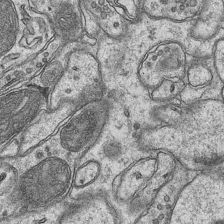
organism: Mouse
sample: CA1 Hippocampus